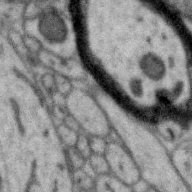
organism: Zebra finch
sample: Brain